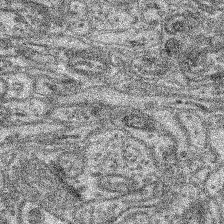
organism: Mouse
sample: Retina